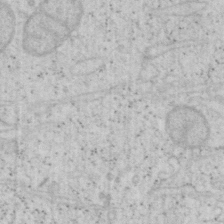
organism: Human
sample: HeLa cells